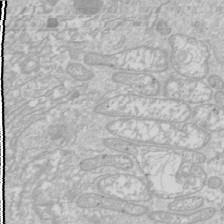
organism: Drosophila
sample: Cell division; meiosis; drosophila spermatocytes